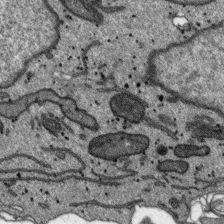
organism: Human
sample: Lung epithelial cells, uninfected (mock) control